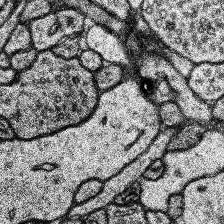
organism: Human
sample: Temporal Lobe